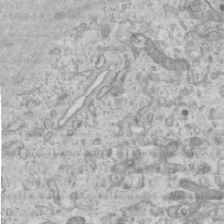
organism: Mouse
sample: Centriole in ependymal cells